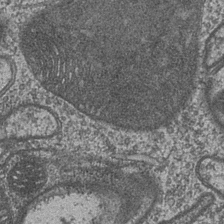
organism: Drosophila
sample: Optic medulla